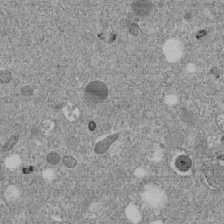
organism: C. elegans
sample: C. elegans embryo early stage